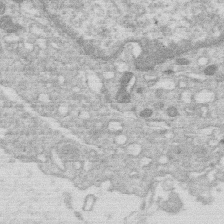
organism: Human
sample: Macrophage cells